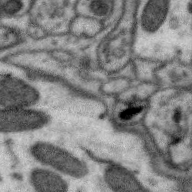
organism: Zebra finch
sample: Brain